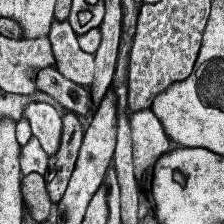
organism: Human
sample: Temporal Lobe